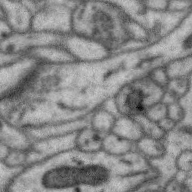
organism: Zebra finch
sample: Brain